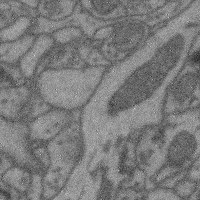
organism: Mouse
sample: Cerebral cortex